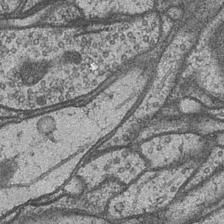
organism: Drosophila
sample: Optic medulla